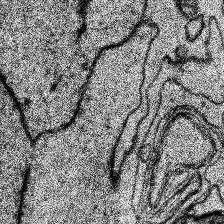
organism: Human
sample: Temporal Lobe